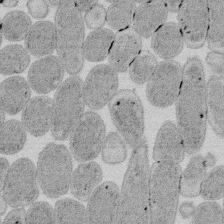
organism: E. coli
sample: Bacterial nucleoid